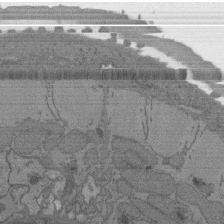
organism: C. elegans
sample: AFD neurons C. elegans